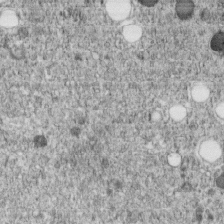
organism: C. elegans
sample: C. elegans embryo early stage